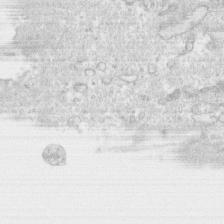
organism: Human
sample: CRL-1474